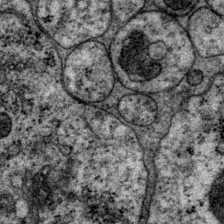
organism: P. pacificus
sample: Pharynx